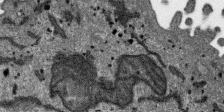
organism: Human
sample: Lung epithelial cells, uninfected (mock) control